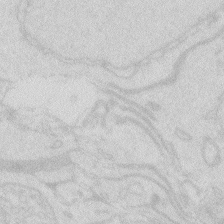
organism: Zebrafish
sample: Macrophage